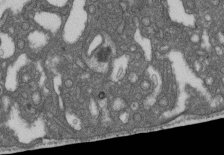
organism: Drosophila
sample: Nephrocyte